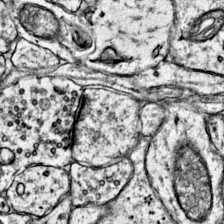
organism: Mouse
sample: Primary visual cortex